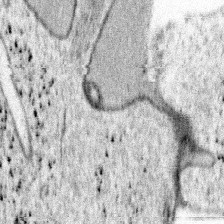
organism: Human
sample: HeLa cells